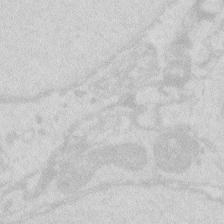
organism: Zebrafish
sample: Macrophage